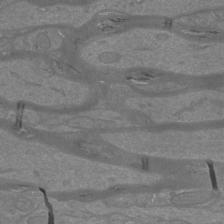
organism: Mouse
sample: Cortical neurons